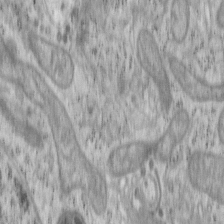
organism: Human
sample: HeLa cells